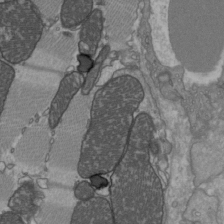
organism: C57BL Mouse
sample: Heart